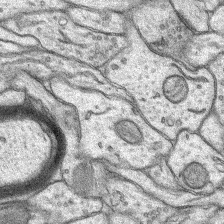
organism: Rat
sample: Hippocampus